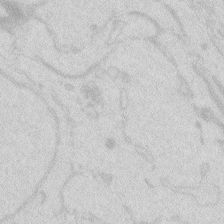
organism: Zebrafish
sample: Macrophage